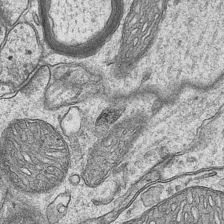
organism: Mouse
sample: CA1 Hippocampus